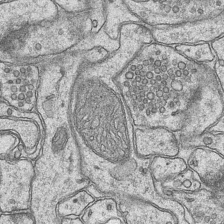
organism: Mouse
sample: CA1 Hippocampus